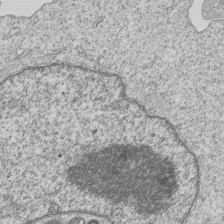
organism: Human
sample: MDA-MB-231 cells